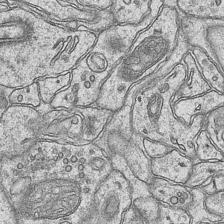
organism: Mouse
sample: CA1 Hippocampus